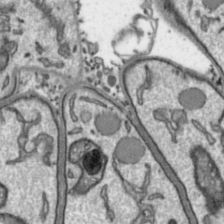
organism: Toxoplasma gondii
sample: Parasites in a vacuole inside a host cell